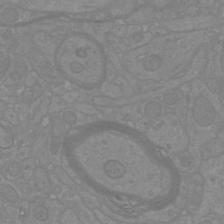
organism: Mouse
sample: Cortical neurons